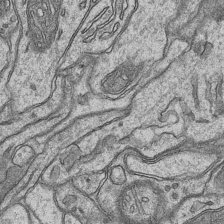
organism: Mouse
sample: CA1 Hippocampus